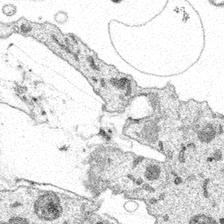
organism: Spongilla lacustris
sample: Multiple